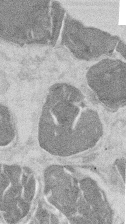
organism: Mouse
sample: T cell stromal cell synapse